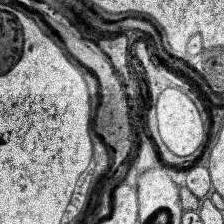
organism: Human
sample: Temporal Lobe